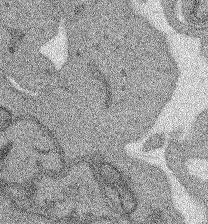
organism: Human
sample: HeLa cells